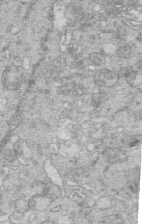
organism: Mouse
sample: Multiciliated cells